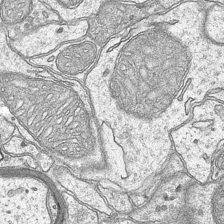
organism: Mouse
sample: CA1 Hippocampus